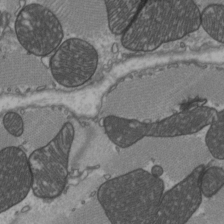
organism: C57BL Mouse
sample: Heart